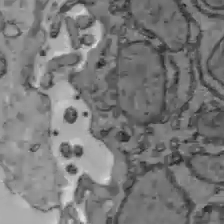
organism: C57BL Mouse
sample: Liver